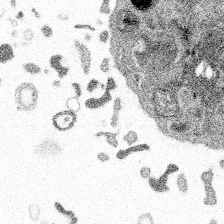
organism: Spongilla lacustris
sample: Multiple